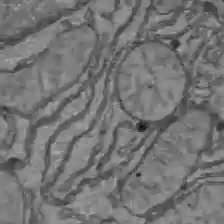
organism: C57BL Mouse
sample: Liver